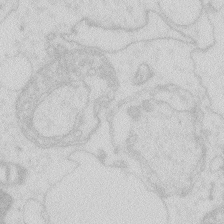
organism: Zebrafish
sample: Macrophage